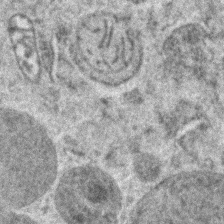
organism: Zebrafish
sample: Zebrafish embryo